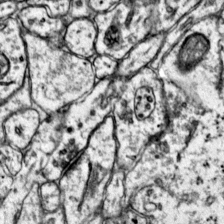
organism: Mouse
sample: Primary visual cortex